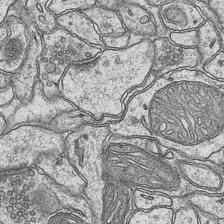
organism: Mouse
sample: CA1 Hippocampus